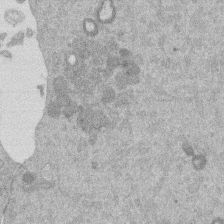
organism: Mouse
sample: Dividing mouse embryo 1 cell stage